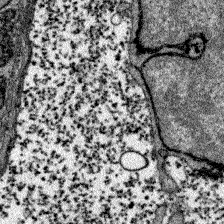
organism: Zebrafish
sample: Larval olfactory bulb